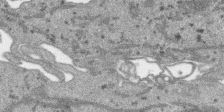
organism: Human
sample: Lung epithelial cells infected with SARS-CoV-2